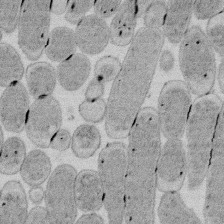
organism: E. coli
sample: Bacterial nucleoid